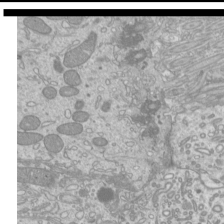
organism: Mouse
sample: Cilia; mouse epididymis